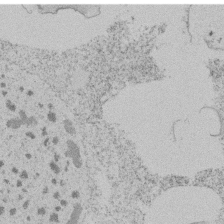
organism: Tetrahymena